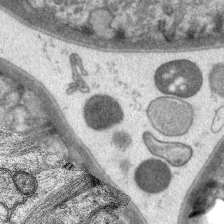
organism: C. elegans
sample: Pharynx